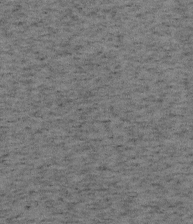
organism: Mouse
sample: OT-I killer T cells with ID8 ovarian cancer cells